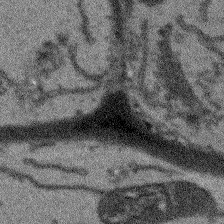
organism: Arabidopsis thaliana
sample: Root tip